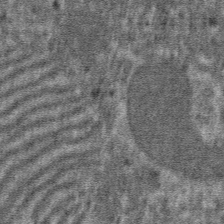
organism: Mouse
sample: Mouse hepatocytes